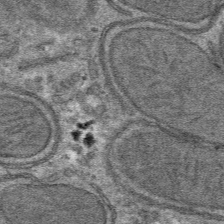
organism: Mouse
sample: Mouse hepatocytes